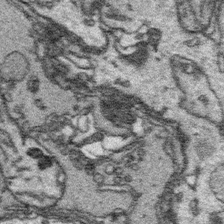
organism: Platynereis dumerilii